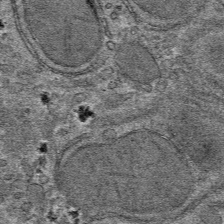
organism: Mouse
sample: Mouse hepatocytes